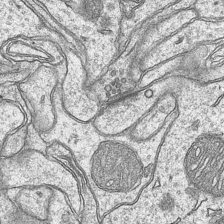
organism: Mouse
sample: CA1 Hippocampus